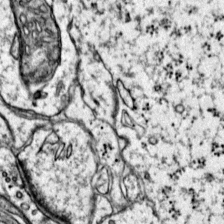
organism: Mouse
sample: Primary visual cortex